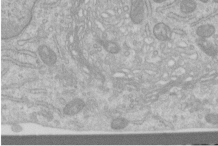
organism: Human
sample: Centriole in RPE cells